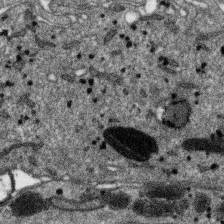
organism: Human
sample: Lung epithelial cells infected with SARS-CoV-2